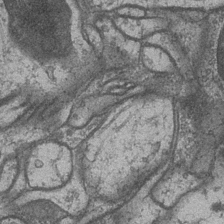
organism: Drosophila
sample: Optic medulla